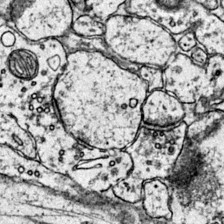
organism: Mouse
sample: Primary visual cortex